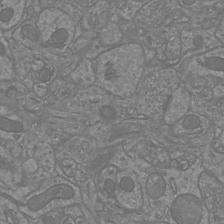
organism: Mouse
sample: Cortical neurons